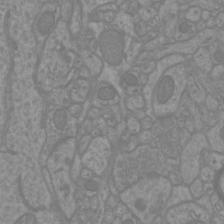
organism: Mouse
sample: Cortical neurons